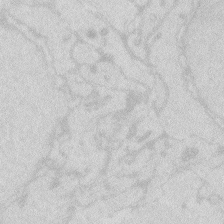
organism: Zebrafish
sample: Macrophage